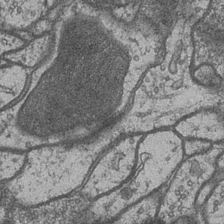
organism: Drosophila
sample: Optic medulla